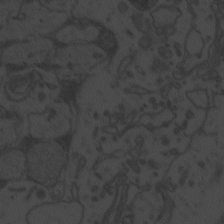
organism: Zebrafish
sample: Macrophage infected with Toxoplasma gondii